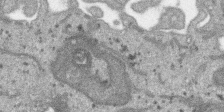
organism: Human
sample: Lung epithelial cells infected with SARS-CoV-2